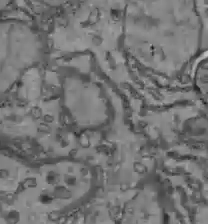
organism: C57BL Mouse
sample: Liver